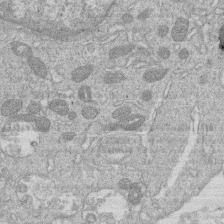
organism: Human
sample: Macrophage cells